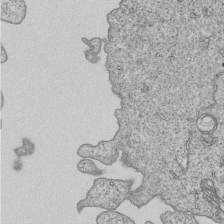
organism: Human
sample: MDA-MB-231 cells